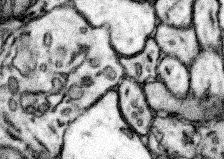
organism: Mouse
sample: Somatosensory cortex neuropil